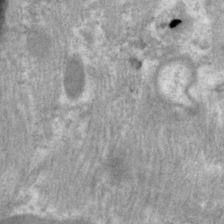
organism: C. elegans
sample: Pharynx